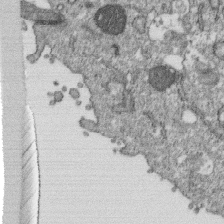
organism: African green monkey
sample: Vero E6 cells infected with SARS-CoV-2